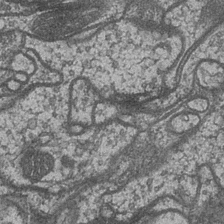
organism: Drosophila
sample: Optic medulla